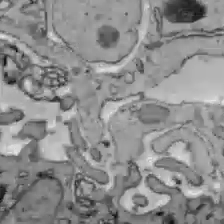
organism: C57BL Mouse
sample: Liver